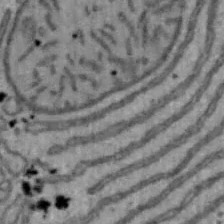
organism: Mouse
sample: Liver